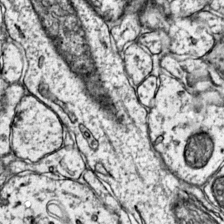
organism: Mouse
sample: Primary visual cortex